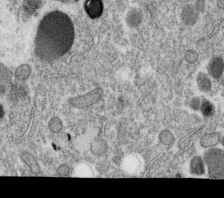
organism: C. elegans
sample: C. elegans oocyte; sperm cells